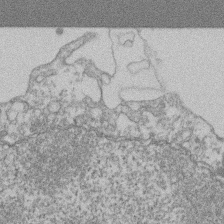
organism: Mouse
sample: T cell stromal cell synapse